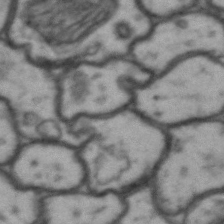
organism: Drosophila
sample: Brain